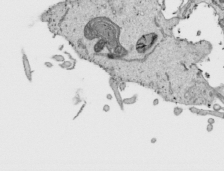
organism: Human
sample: Mitochondria in HCT116 cells